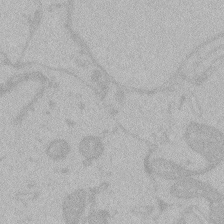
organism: Zebrafish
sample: Macrophage infected with Toxoplasma gondii